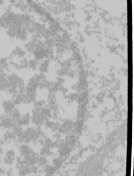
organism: Mouse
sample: Cancer cell death in ED-1 cells